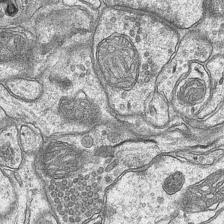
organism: Mouse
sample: CA1 Hippocampus